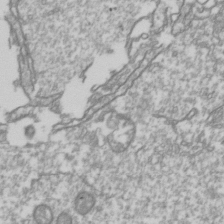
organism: Drosophila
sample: Cell division; meiosis; drosophila spermatocytes